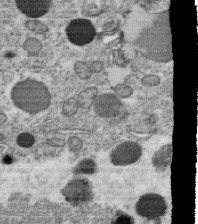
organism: C. elegans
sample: C. elegans oocyte; sperm cells